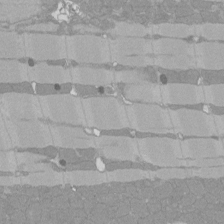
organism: Rat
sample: Left ventricle